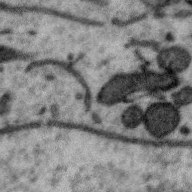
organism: Zebra finch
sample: Brain